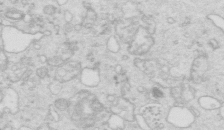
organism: Mouse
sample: Multiciliated cells